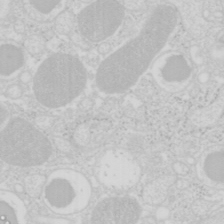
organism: Mouse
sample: Pancreas